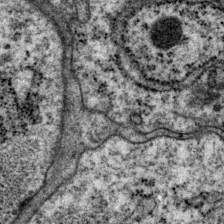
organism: P. pacificus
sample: Pharynx